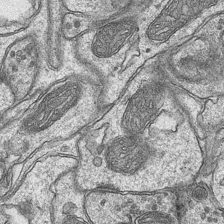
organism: Mouse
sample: CA1 Hippocampus